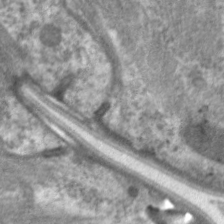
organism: C. elegans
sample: Pharynx